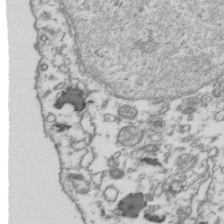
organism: Human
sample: Activated Jurkat CD4+ T cells